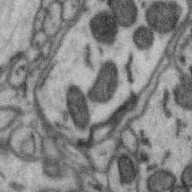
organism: Zebra finch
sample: Brain